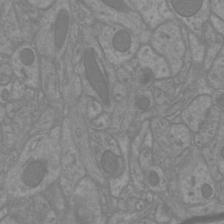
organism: Mouse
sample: Cortical neurons